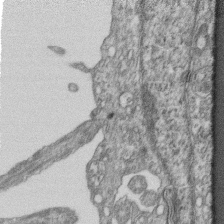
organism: Mouse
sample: Centriole in ependymal cells